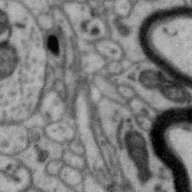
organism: Zebra finch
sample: Brain